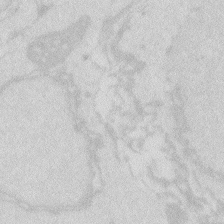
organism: Zebrafish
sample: Macrophage